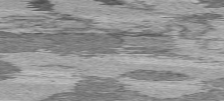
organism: C57BL Mouse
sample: Heart